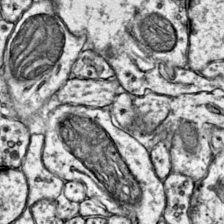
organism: Mouse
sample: Primary visual cortex